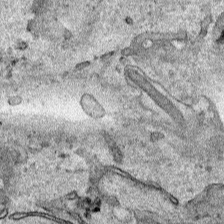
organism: Human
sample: Mitochondria in HCT116 cells